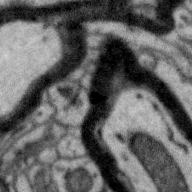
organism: Zebra finch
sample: Brain